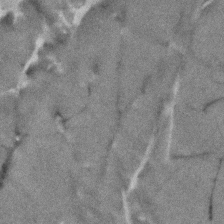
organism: Human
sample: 1205lu cells